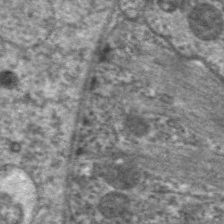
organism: C. elegans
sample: Pharynx